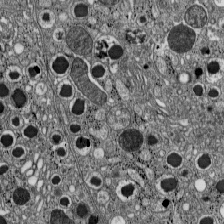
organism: C57BL Mouse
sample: Pancreatic islet